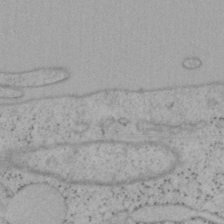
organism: Human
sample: HeLa cells